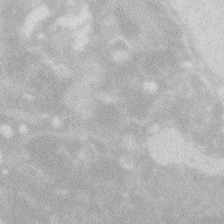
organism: Zebrafish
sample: Macrophage